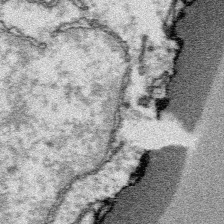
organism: Platynereis dumerilii